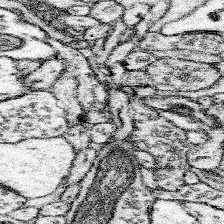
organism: Mouse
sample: Somatosensory cortex neuropil